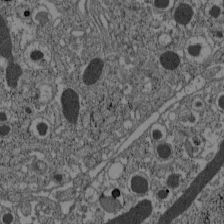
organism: C57BL Mouse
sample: Pancreatic islet